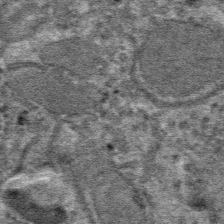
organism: Mouse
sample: Mouse hepatocytes